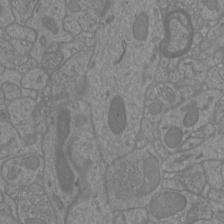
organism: Mouse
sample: Cortical neurons